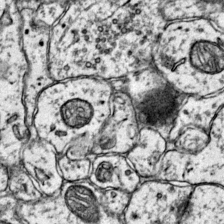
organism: Mouse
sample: Primary visual cortex